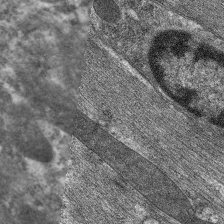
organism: C. elegans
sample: Pharynx